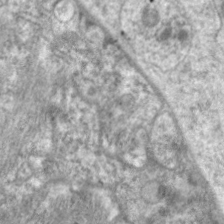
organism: C. elegans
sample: Pharynx